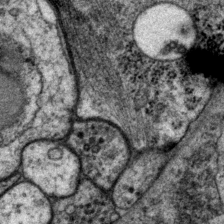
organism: P. pacificus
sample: Pharynx